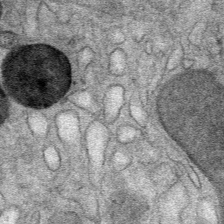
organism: Mouse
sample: Mouse Salivary gland